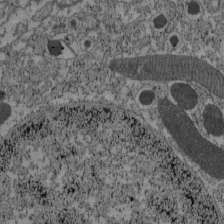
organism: C57BL Mouse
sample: Pancreatic islet